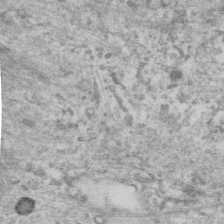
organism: Human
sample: Centriole in RPE cells